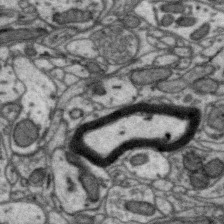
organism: Zebra finch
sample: Brain